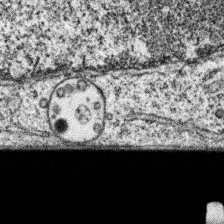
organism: Human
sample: HeLa cells